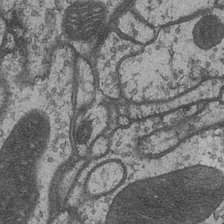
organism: Drosophila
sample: Optic medulla